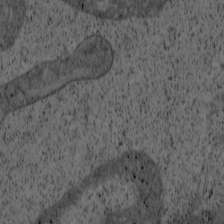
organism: African green monkey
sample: COS-7 cells